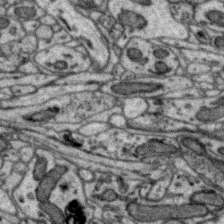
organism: Zebra finch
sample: Brain